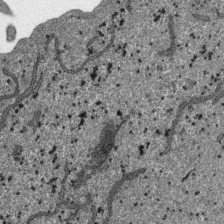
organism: Human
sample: Lung epithelial cells infected with SARS-CoV-2